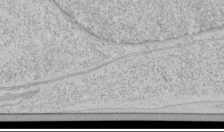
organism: Human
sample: Mitochondria in HCT116 cells